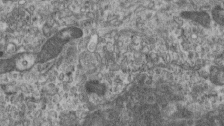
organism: Mouse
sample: Centriole in ependymal cells